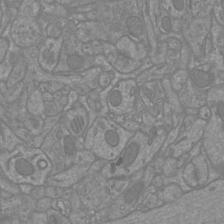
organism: Mouse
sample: Cortical neurons